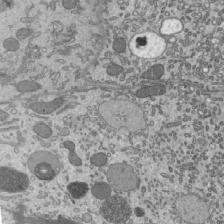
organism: Mouse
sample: Mouse epididymis efferent ductule cilia